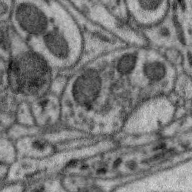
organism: Zebra finch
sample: Brain